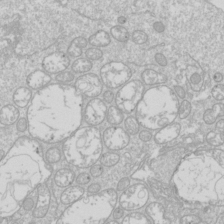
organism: Drosophila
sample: Cell division; meiosis; drosophila spermatocytes